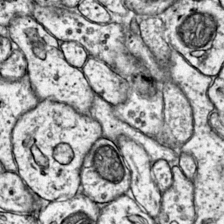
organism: Mouse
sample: Primary visual cortex